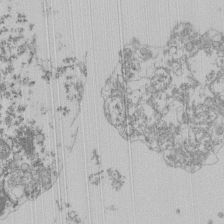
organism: Mouse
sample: Activated Pmel transgenic CD8+ T Cells